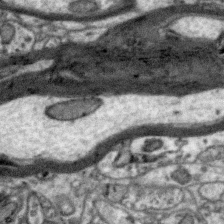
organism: Zebra finch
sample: Brain